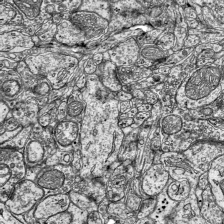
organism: Mouse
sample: Visual Cortex